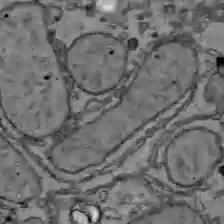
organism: C57BL Mouse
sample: Liver